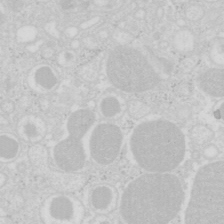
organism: Mouse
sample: Pancreas